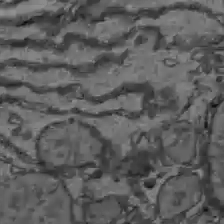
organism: C57BL Mouse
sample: Liver